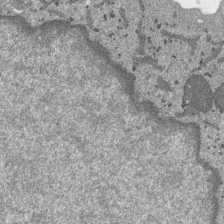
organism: Human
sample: Lung epithelial cells infected with SARS-CoV-2